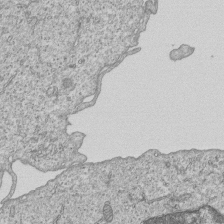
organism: Human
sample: MDA-MB-231 cells